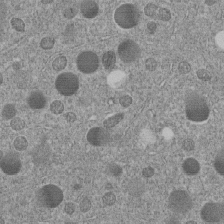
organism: C. elegans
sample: C. elegans embryo early stage